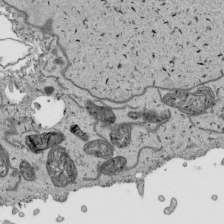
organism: Human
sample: Mitochondria in HCT116 cells